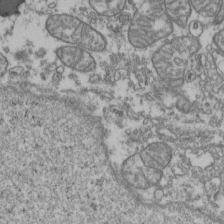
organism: Human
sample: Activated Jurkat CD4+ T cells